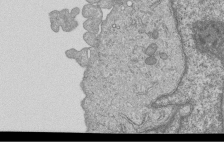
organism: Human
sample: MDA-MB-231 cells